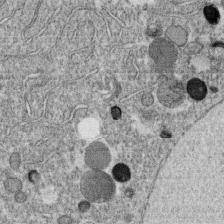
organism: C. elegans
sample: C. elegans oocyte; sperm cells